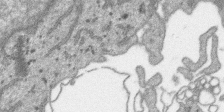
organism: Human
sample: Lung epithelial cells infected with SARS-CoV-2